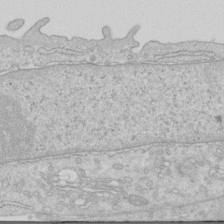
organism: Human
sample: Centriole in RPE cells